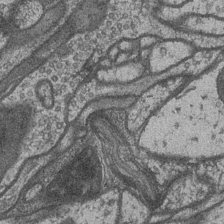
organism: Drosophila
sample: Optic medulla